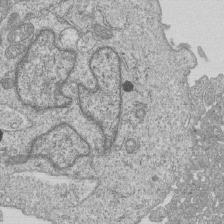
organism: Human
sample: MDA-MB-231 cells